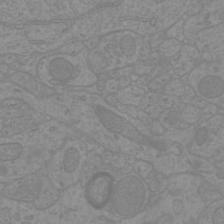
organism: Mouse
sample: Cortical neurons